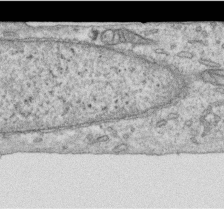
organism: Human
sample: Centriole in RPE cells